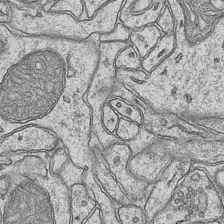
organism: Mouse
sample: CA1 Hippocampus